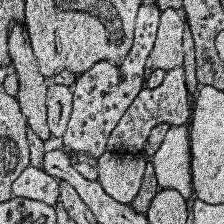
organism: Human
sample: Temporal Lobe